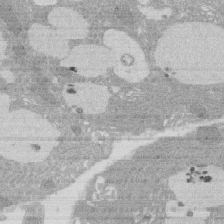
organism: Rat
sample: Salivary granule